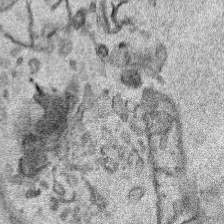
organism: Human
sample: Mitochondria in HCT116 cells